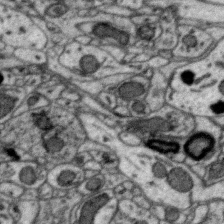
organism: Zebra finch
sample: Brain